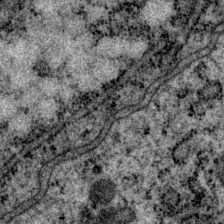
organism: P. pacificus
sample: Pharynx